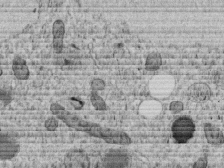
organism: C. elegans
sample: C. elegans embryo early stage